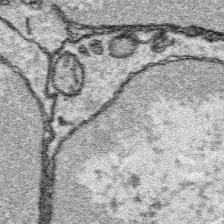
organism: Platynereis dumerilii